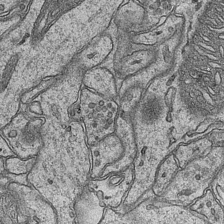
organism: Mouse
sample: CA1 Hippocampus